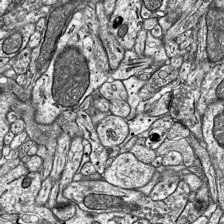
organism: Mouse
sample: Visual Cortex